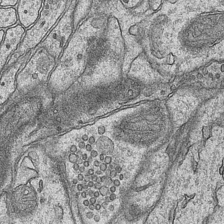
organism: Mouse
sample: CA1 Hippocampus